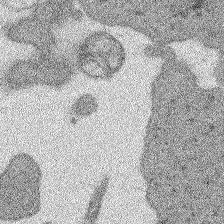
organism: Human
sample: HeLa cells